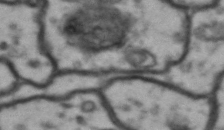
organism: Drosophila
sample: Brain